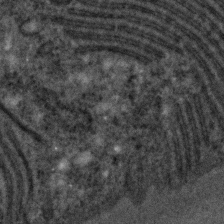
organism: C. elegans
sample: C. elegans embryo